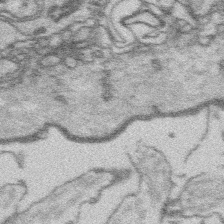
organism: Platynereis dumerilii